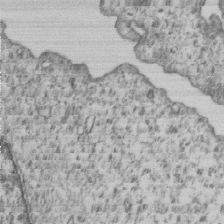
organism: Human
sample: MDA-MB-231 cells